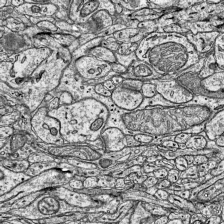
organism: Mouse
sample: Visual Cortex